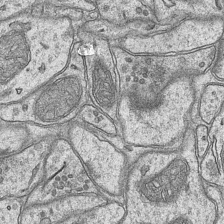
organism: Mouse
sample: CA1 Hippocampus